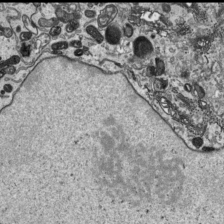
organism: Human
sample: Mitochondria in HCT116 cells